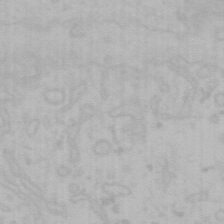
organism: Mouse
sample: Choroid plexus